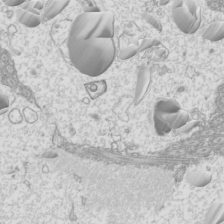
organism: Mouse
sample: Cilia; mouse epididymis